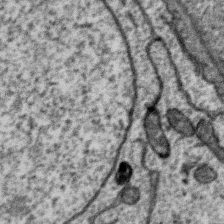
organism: Zebra finch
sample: Brain